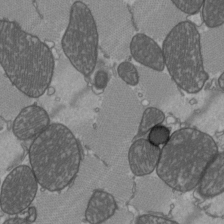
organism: C57BL Mouse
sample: Heart